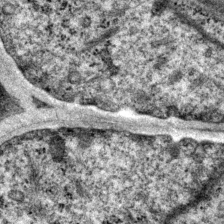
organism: P. pacificus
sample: Pharynx